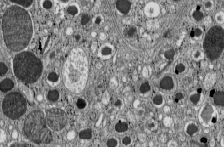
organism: C57BL Mouse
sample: Pancreatic islet